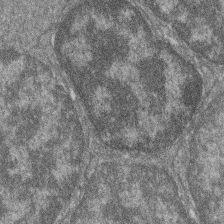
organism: Zebrafish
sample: Cilia; retinal pigment epithelium